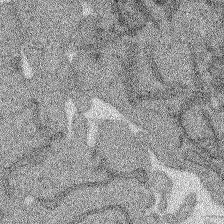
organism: Human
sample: HeLa cells